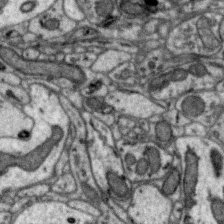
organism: Zebra finch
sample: Brain